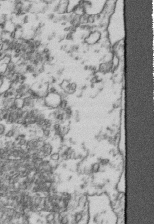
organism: Human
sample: Activated Jurkat CD4+ T cells